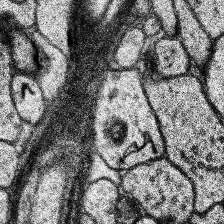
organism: Human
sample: Temporal Lobe